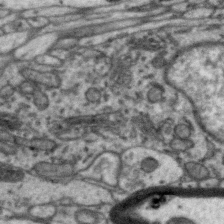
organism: Zebra finch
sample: Brain